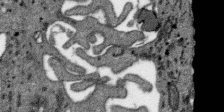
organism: Human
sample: Lung epithelial cells, uninfected (mock) control